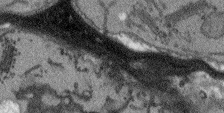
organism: Arabidopsis thaliana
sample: Root tip